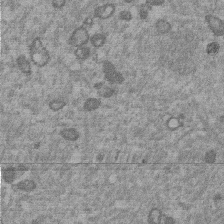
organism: Mouse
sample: Dividing mouse embryo 1 cell stage